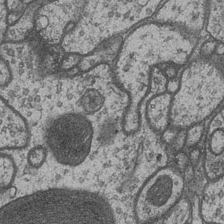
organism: Drosophila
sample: Optic medulla